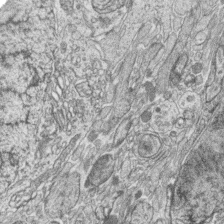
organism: Zebrafish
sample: synaptic ribbons in rod cells and cone cells